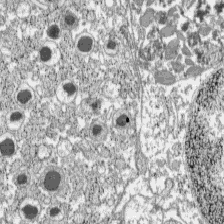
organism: C57BL Mouse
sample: Pancreatic islet